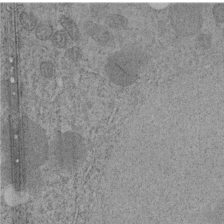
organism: C. elegans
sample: C. elegans embryo early stage